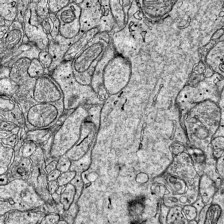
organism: Mouse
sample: Visual Cortex